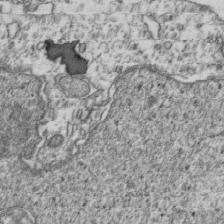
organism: Human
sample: Activated Jurkat CD4+ T cells